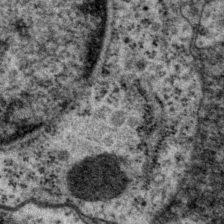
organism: P. pacificus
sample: Pharynx